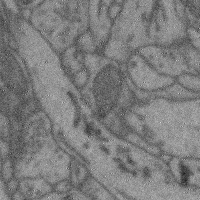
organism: Mouse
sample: Cerebral cortex